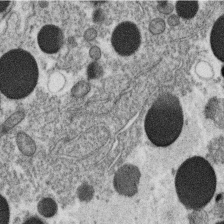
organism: C. elegans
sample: C. elegans oocyte; sperm cells